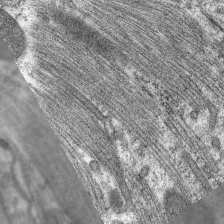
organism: C. elegans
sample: Pharynx